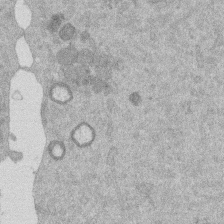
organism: Mouse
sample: Dividing mouse embryo 1 cell stage